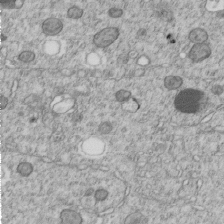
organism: C. elegans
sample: C. elegans embryo early stage